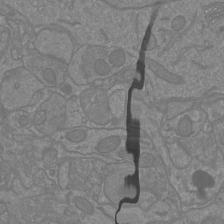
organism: Mouse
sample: Cortical neurons